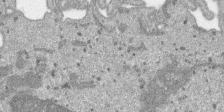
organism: Human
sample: Lung epithelial cells infected with SARS-CoV-2